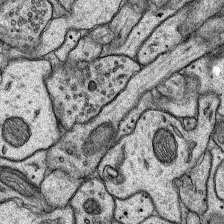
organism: Rat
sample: Hippocampus